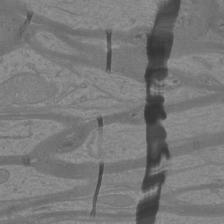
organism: Mouse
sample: Cortical neurons